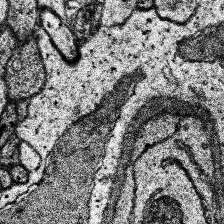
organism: Human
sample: Temporal Lobe